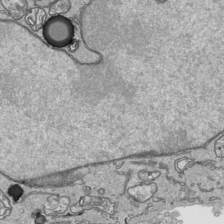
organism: Human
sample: Mitochondria in HCT116 cells